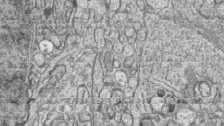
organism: Zebrafish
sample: synaptic ribbons in rod cells and cone cells